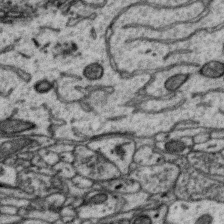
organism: Zebra finch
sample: Brain